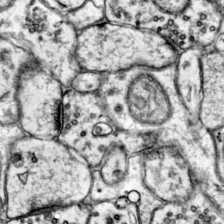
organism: Mouse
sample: Primary visual cortex